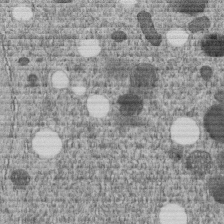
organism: C. elegans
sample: C. elegans embryo early stage